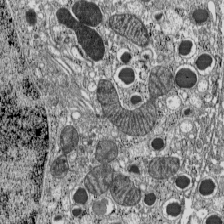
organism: C57BL Mouse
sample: Pancreatic islet